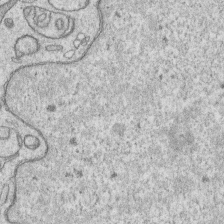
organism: Human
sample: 1205lu cells